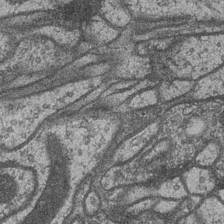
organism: Drosophila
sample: Optic medulla